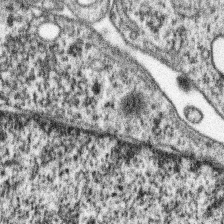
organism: Human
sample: HeLa cells